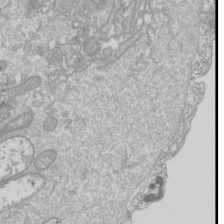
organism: Drosophila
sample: Cell division; meiosis; drosophila spermatocytes